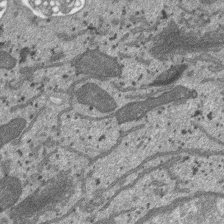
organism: Human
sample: Lung epithelial cells infected with SARS-CoV-2